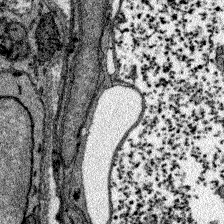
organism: Zebrafish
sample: Larval olfactory bulb